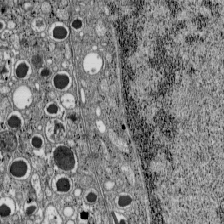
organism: C57BL Mouse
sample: Pancreatic islet